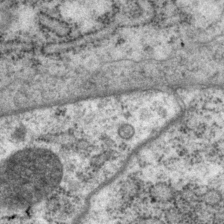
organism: P. pacificus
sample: Pharynx